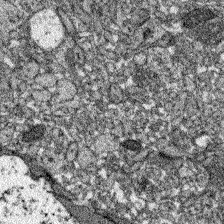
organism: Zebrafish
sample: Larval olfactory bulb